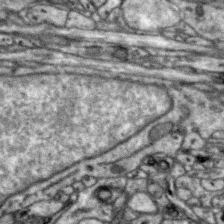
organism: Zebra finch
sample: Brain